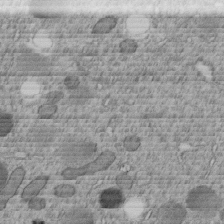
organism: C. elegans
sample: C. elegans embryo early stage